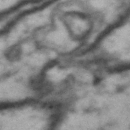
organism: Drosophila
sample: Brain